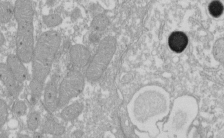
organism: Xenopus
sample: Cilia; centrioles in frog embryo cells